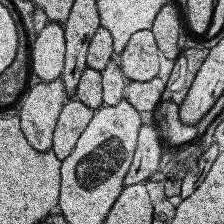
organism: Human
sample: Temporal Lobe